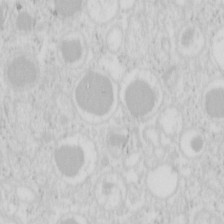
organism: Mouse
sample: Pancreas